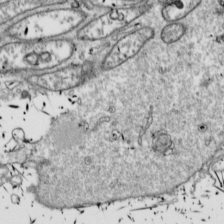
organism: Drosophila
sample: Cell division; meiosis; drosophila spermatocytes